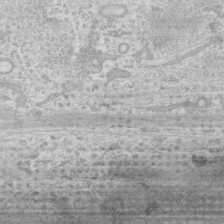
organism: Human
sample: Fibroblast cells